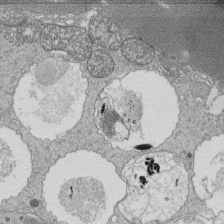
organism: Tetrahymena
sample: Cilia in tetrahymena